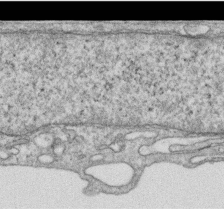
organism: Human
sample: Centriole in RPE cells